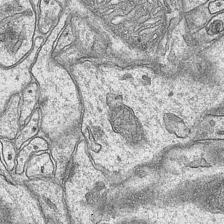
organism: Mouse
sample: CA1 Hippocampus